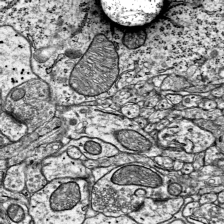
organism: Mouse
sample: Visual Cortex